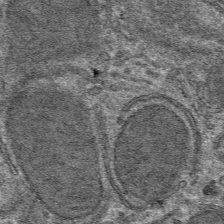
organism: Mouse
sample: Mouse hepatocytes